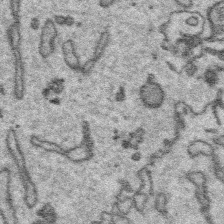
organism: Platynereis dumerilii